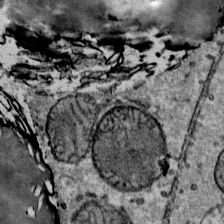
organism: Mouse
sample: Mouse Salivary gland